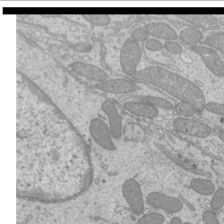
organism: Mouse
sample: Cilia; mouse epididymis